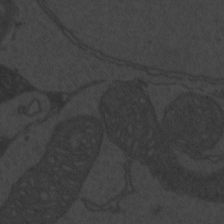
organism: Zebrafish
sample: Macrophage infected with Toxoplasma gondii